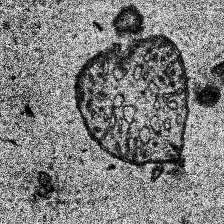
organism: Human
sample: Temporal Lobe